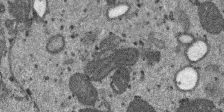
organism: Human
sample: Lung epithelial cells infected with SARS-CoV-2